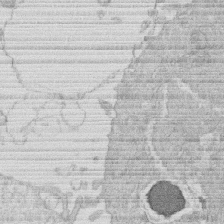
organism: Human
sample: Macrophage cells